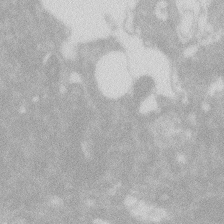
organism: Zebrafish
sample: Macrophage